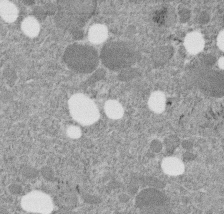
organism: C. elegans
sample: C. elegans embryo early stage